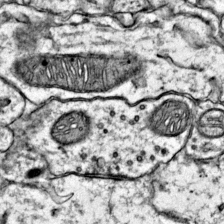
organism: Mouse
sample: Primary visual cortex